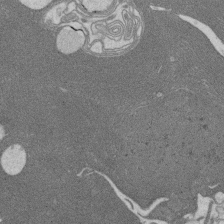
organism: Rat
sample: Salivary granule